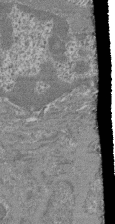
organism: Mouse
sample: Glomerulus